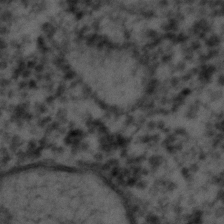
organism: C. elegans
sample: C. elegans embryo